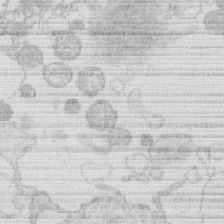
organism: Human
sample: Macrophage cells